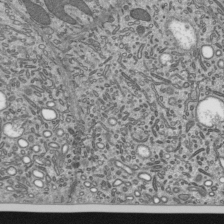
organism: Mouse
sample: Mouse epididymis efferent ductule cilia